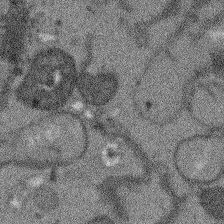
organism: Arabidopsis thaliana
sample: Root tip